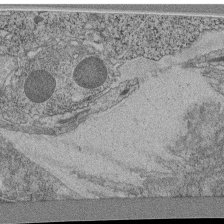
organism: C. elegans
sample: C. elegans pharynx